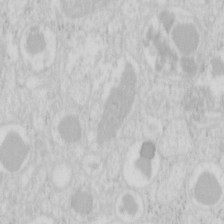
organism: Mouse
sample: Pancreas